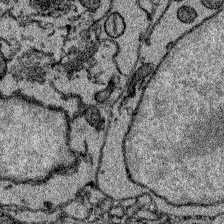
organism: Zebrafish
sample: Larval olfactory bulb